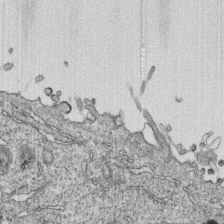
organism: Human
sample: HeLa cell HIV synapse